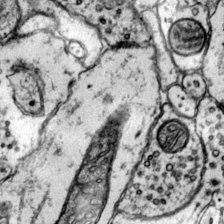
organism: Mouse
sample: Primary visual cortex